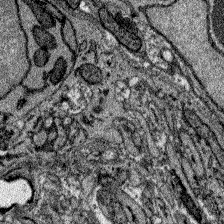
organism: Zebrafish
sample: Larval olfactory bulb